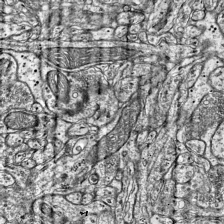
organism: Mouse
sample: Visual Cortex